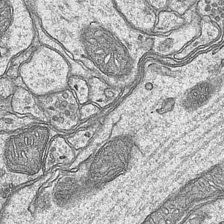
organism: Mouse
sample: CA1 Hippocampus